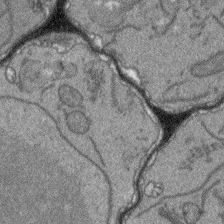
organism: Arabidopsis thaliana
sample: Root tip